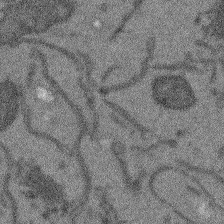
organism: Arabidopsis thaliana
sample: Root tip